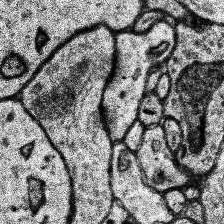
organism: Human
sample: Temporal Lobe